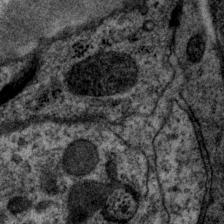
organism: P. pacificus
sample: Pharynx